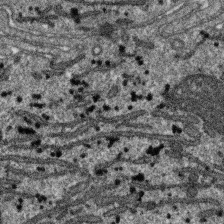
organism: Human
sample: Lung epithelial cells infected with SARS-CoV-2